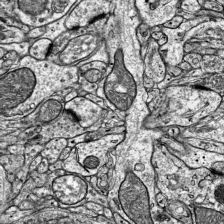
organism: Mouse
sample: Visual Cortex